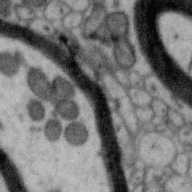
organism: Zebra finch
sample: Brain